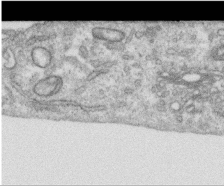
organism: Human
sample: Centriole in RPE cells